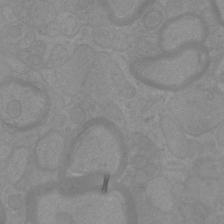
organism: Mouse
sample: Cortical neurons